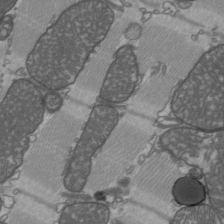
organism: C57BL Mouse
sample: Heart